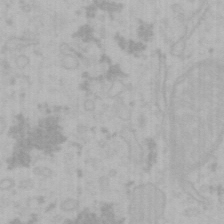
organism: Mouse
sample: Choroid plexus